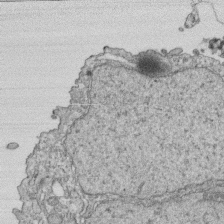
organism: Human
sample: HeLa cell HIV synapse